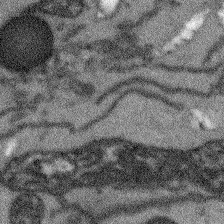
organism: Arabidopsis thaliana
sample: Root tip